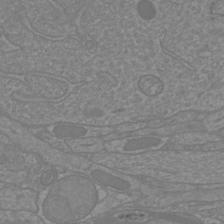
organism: Mouse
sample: Cortical neurons